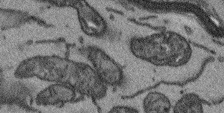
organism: Arabidopsis thaliana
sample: Root tip